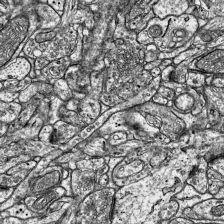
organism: Mouse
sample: Visual Cortex